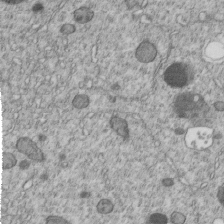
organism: C. elegans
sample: C. elegans embryo early stage